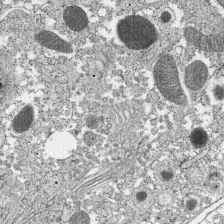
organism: C57BL Mouse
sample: Pancreatic islet